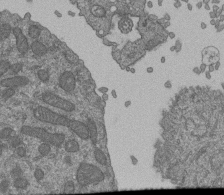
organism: Human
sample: Retinal organoid Rod and Cone cells